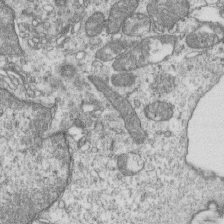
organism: Mouse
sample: Activated OT-1 CD8+ T cells